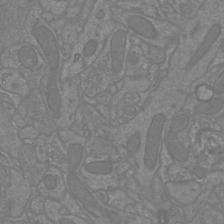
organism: Mouse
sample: Cortical neurons